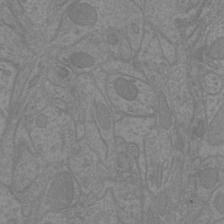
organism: Mouse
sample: Cortical neurons